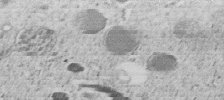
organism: C. elegans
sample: C. elegans embryo early stage